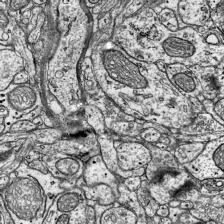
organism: Mouse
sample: Visual Cortex